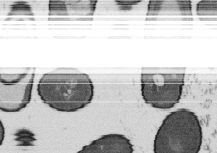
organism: B. subtilis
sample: Bacterial spore